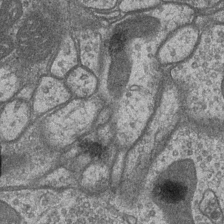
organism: Drosophila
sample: Optic medulla